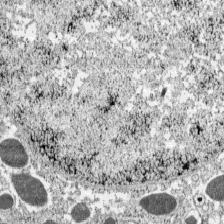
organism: C57BL Mouse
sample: Pancreatic islet